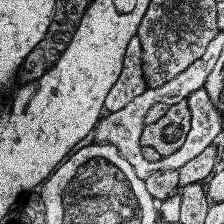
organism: Human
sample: Temporal Lobe